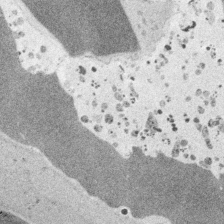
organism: Embia sp.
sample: Silk gland